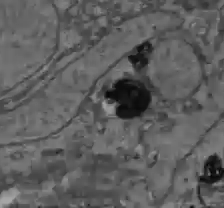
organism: C57BL Mouse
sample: Liver